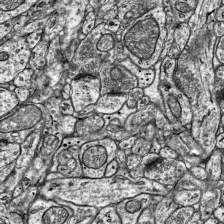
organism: Mouse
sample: Visual Cortex